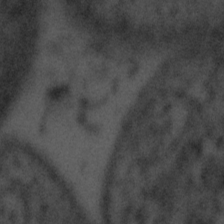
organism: Tuwongella immobilis